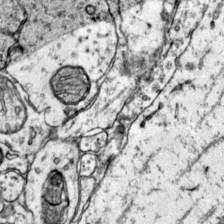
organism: Mouse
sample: Primary visual cortex